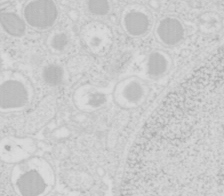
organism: Mouse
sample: Pancreas